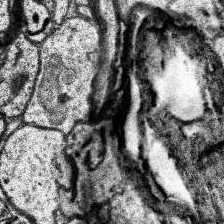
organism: Human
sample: Temporal Lobe